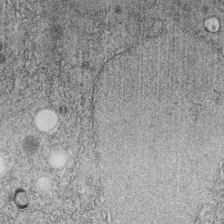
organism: C. elegans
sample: C. elegans embryo early stage